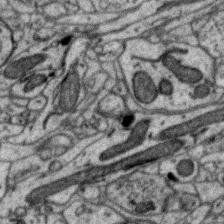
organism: Zebra finch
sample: Brain